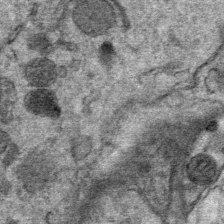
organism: Mouse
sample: Mouse Salivary gland